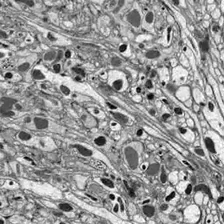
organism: Drosophila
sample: Optic lobe